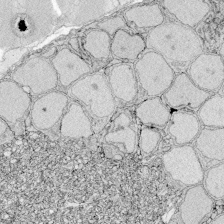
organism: Zebrafish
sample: Whole-Brain